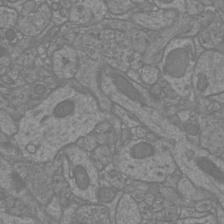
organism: Mouse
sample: Cortical neurons